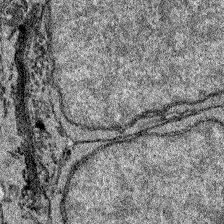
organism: Zebrafish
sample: Larval olfactory bulb